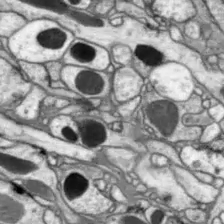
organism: Drosophila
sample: Optic lobe